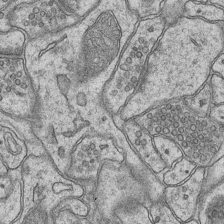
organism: Mouse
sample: CA1 Hippocampus